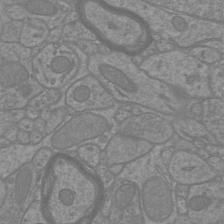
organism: Mouse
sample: Cortical neurons